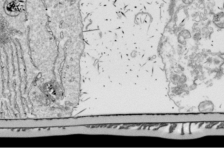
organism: Drosophila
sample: Cell division; meiosis; drosophila spermatocytes